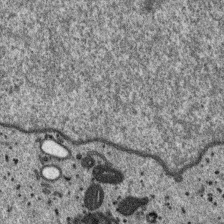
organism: Human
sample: Lung epithelial cells infected with SARS-CoV-2